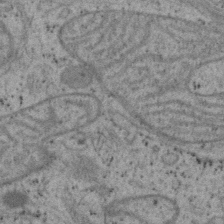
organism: Human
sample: HeLa cells